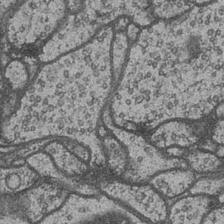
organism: Drosophila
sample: Optic medulla